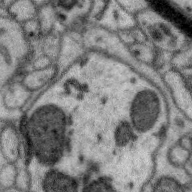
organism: Zebra finch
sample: Brain